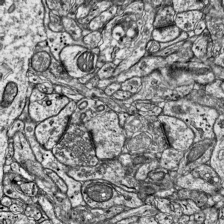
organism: Mouse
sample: Visual Cortex